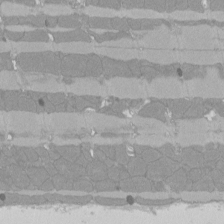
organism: Rat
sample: Left ventricle